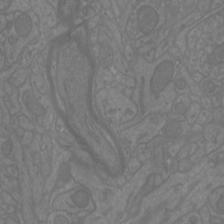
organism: Mouse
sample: Cortical neurons